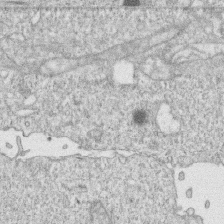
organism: Human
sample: HeLa cell HIV synapse